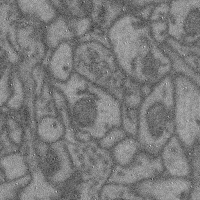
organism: Mouse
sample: Cerebral cortex